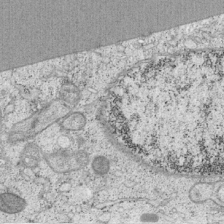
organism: African green monkey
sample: COS-7 cells